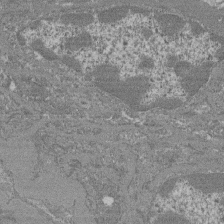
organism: Mouse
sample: Glomerulus